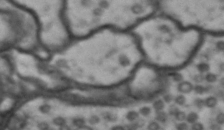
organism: Drosophila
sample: Brain